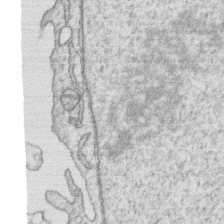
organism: Human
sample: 1205lu cells